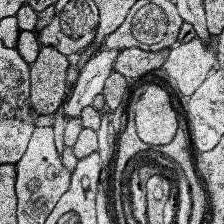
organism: Human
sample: Temporal Lobe